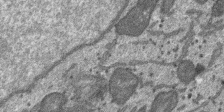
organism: Human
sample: Lung epithelial cells infected with SARS-CoV-2